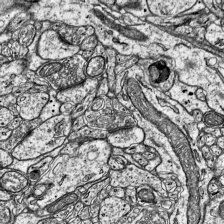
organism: Mouse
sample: Visual Cortex